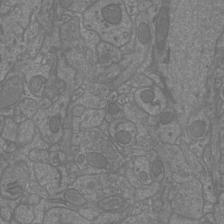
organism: Mouse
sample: Cortical neurons